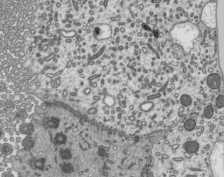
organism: Mouse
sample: Mouse epididymis efferent ductule cilia